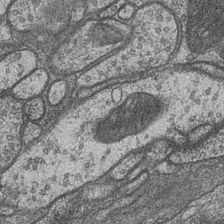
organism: Drosophila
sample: Optic medulla